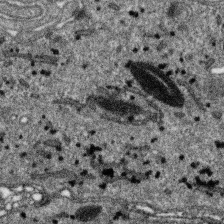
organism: Human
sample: Lung epithelial cells infected with SARS-CoV-2